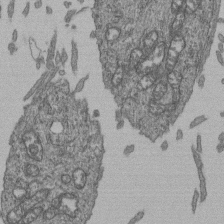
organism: Human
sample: Retinal organoid Rod and Cone cells